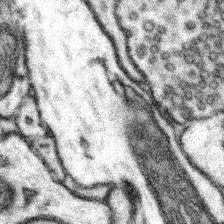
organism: Mouse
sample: Somatosensory cortex neuropil